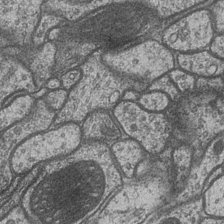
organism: Drosophila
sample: Optic medulla